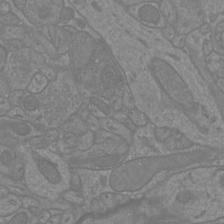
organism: Mouse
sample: Cortical neurons